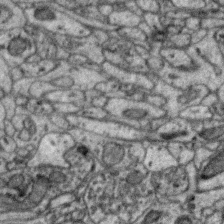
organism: Zebra finch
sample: Brain